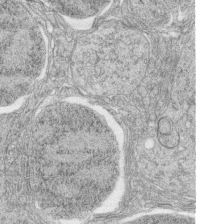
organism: Zebrafish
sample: synaptic ribbons in rod cells and cone cells